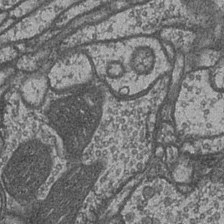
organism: Drosophila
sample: Optic medulla